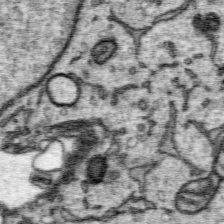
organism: Human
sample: HeLa cells